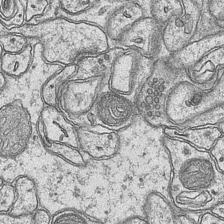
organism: Mouse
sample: CA1 Hippocampus